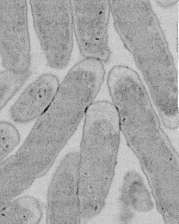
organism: E. coli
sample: Bacterial nucleoid